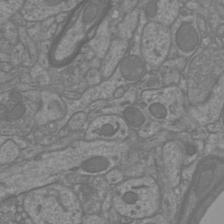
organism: Mouse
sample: Cortical neurons